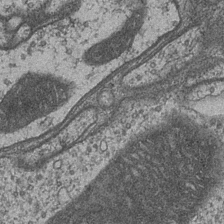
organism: Drosophila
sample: Optic medulla